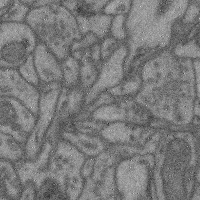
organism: Mouse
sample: Cerebral cortex